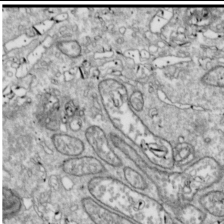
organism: Drosophila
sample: Cell division; meiosis; drosophila spermatocytes